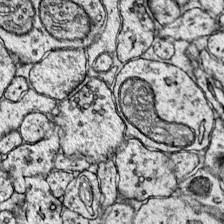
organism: Mouse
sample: Primary visual cortex